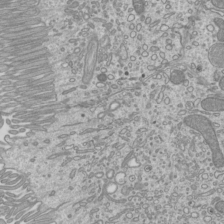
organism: Mouse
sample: Cilia; mouse epididymis